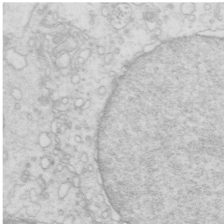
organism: Mouse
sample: Multiciliated cells